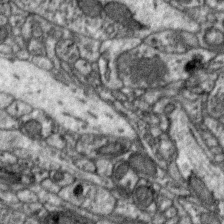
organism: Zebra finch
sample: Brain